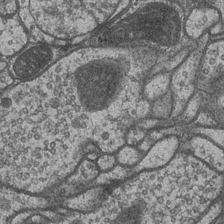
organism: Drosophila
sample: Optic medulla